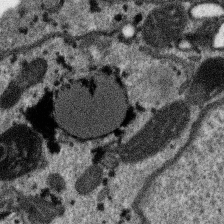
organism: Human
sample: Lung epithelial cells infected with SARS-CoV-2